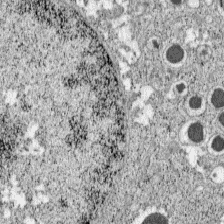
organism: C57BL Mouse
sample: Pancreatic islet